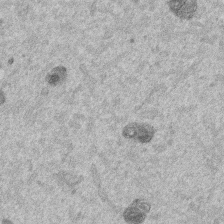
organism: Mouse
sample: Dividing mouse embryo 1 cell stage